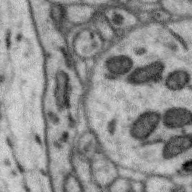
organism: Zebra finch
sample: Brain